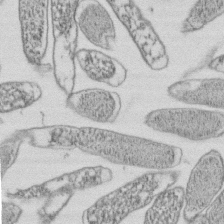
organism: E. coli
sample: Bacterial nucleoid